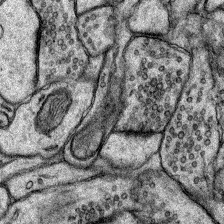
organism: Rat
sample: Hippocampus